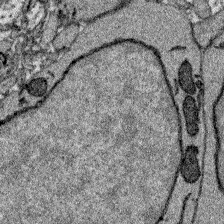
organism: Zebrafish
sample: Larval olfactory bulb